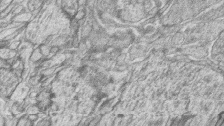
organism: Zebrafish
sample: synaptic ribbons in rod cells and cone cells